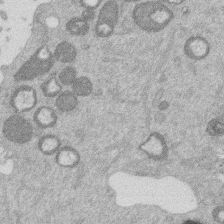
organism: Mouse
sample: Dividing mouse embryo 1 cell stage